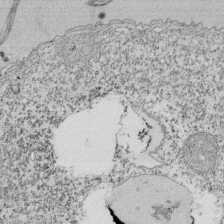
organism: Tetrahymena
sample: Cilia in tetrahymena